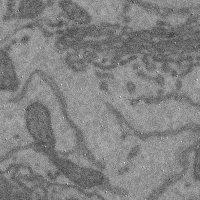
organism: Mouse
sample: Cerebral cortex